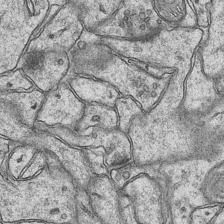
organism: Mouse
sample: CA1 Hippocampus